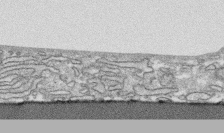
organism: Human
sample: CRL-1474